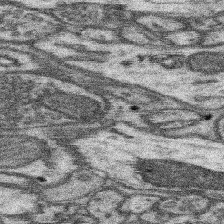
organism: Mouse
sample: Somatosensory cortex neuropil